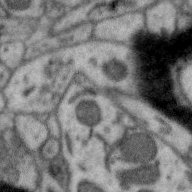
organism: Zebra finch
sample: Brain